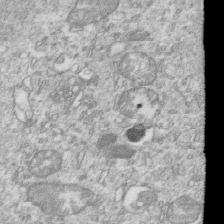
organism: Mouse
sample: Activated OT-1 CD8+ T cells